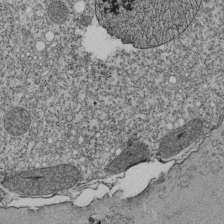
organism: Tetrahymena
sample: Cilia in tetrahymena